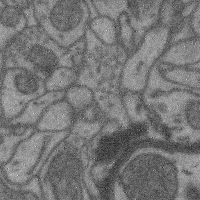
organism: Mouse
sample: Cerebral cortex